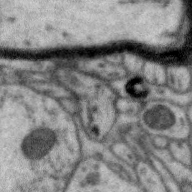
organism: Zebra finch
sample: Brain